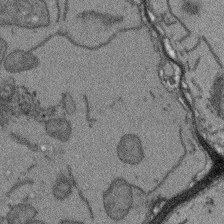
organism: Arabidopsis thaliana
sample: Root tip